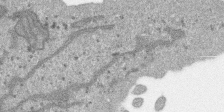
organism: Human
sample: Lung epithelial cells infected with SARS-CoV-2